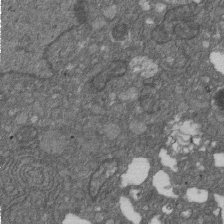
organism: Drosophila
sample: Nephrocyte